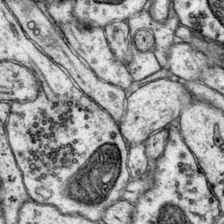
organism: Mouse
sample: Primary visual cortex